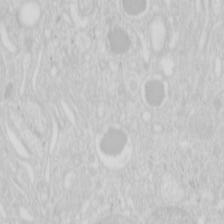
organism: Mouse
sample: Pancreas